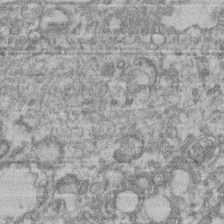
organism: Mouse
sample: T cell stromal cell synapse